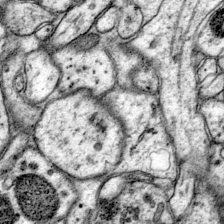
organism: Mouse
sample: Primary visual cortex